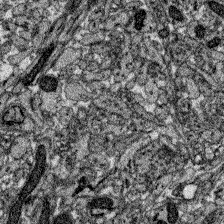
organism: Zebrafish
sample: Larval olfactory bulb